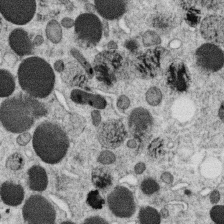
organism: C. elegans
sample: C. elegans oocyte; sperm cells